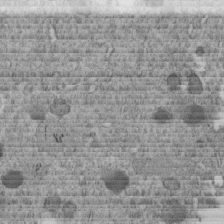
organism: C. elegans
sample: C. elegans embryo early stage